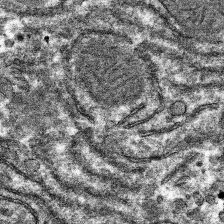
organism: Mouse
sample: Mouse hepatocytes